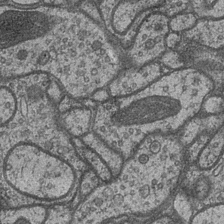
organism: Drosophila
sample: Optic medulla